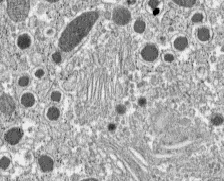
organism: C57BL Mouse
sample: Pancreatic islet